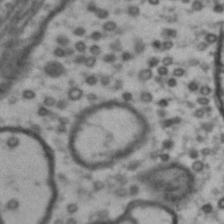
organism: Drosophila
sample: Brain